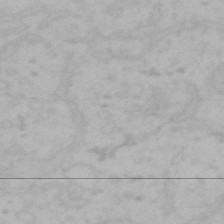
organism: Mouse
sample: Choroid plexus